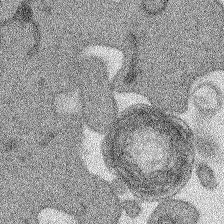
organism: Human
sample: HeLa cells